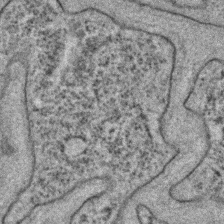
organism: C. elegans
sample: C. elegans embryo